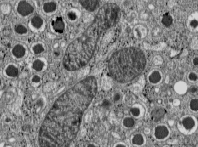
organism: C57BL Mouse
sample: Pancreatic islet